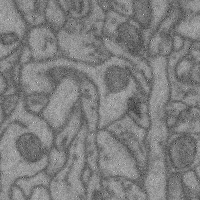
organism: Mouse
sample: Cerebral cortex